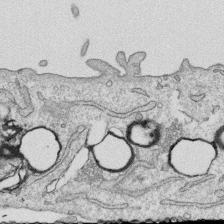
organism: Human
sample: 1205lu cells